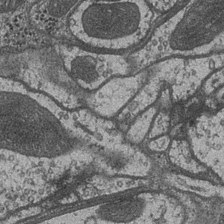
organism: Drosophila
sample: Optic medulla